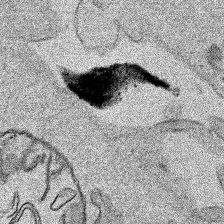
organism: Human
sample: Mitochondria in HCT116 cells